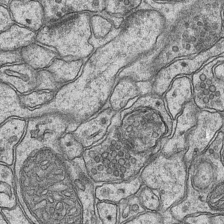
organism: Mouse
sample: CA1 Hippocampus